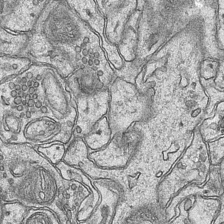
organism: Mouse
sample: CA1 Hippocampus